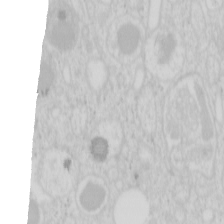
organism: Mouse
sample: Pancreas